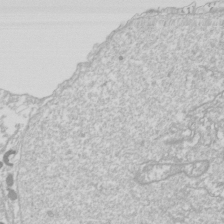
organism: Drosophila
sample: Cell division; meiosis; drosophila spermatocytes